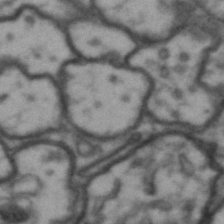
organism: Drosophila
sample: Brain